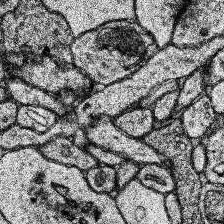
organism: Human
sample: Temporal Lobe